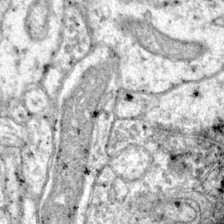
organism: Mouse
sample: Primary visual cortex